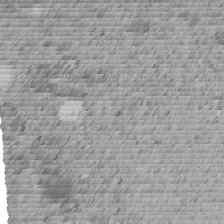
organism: C. elegans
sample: C. elegans embryo early stage